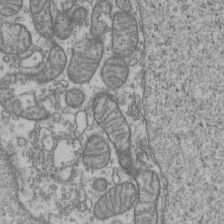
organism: Human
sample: Activated Jurkat CD4+ T cells